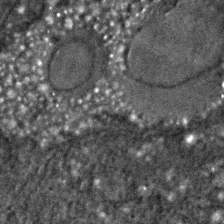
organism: C. elegans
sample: C. elegans embryo